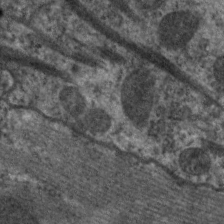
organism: C. elegans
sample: Pharynx